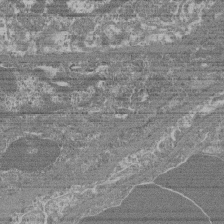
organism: Mouse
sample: Glomerulus